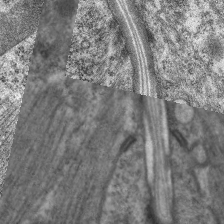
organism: C. elegans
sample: Pharynx